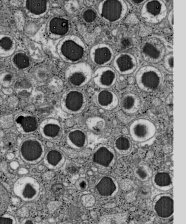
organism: C57BL Mouse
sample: Pancreatic islet